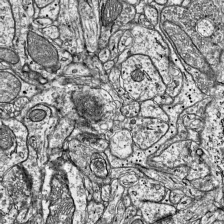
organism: Mouse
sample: Visual Cortex